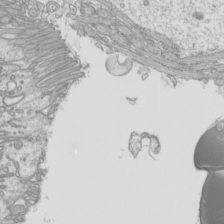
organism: Mouse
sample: Cilia; mouse epididymis